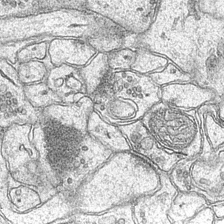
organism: Mouse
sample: CA1 Hippocampus